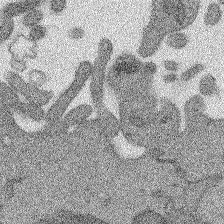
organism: Human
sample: HeLa cells